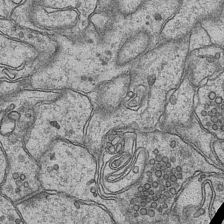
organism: Mouse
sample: CA1 Hippocampus